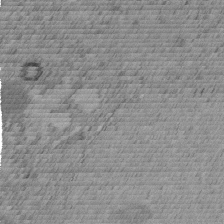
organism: C. elegans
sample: C. elegans embryo early stage